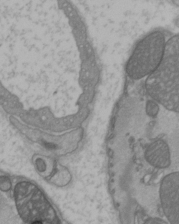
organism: C57BL Mouse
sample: Heart